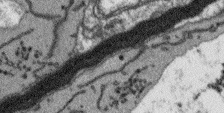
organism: Arabidopsis thaliana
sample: Root tip